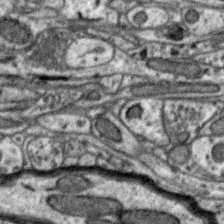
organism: Zebra finch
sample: Brain